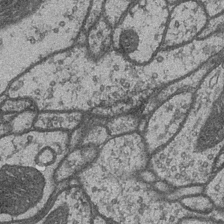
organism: Drosophila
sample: Optic medulla